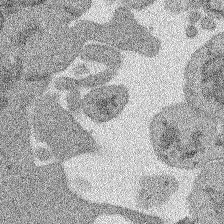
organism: Human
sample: HeLa cells